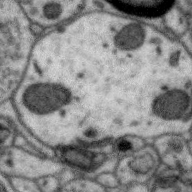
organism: Zebra finch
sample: Brain